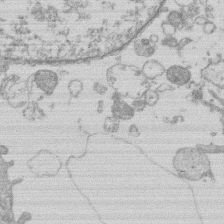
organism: Human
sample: Macrophage cells